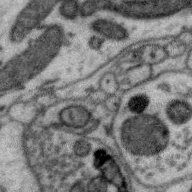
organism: Zebra finch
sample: Brain